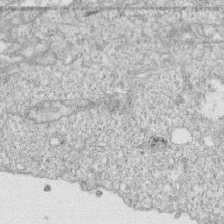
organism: Human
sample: HeLa cell HIV synapse